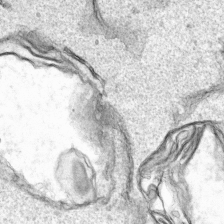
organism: Human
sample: Mitochondria in HCT116 cells